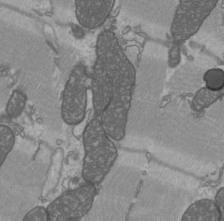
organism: C57BL Mouse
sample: Heart